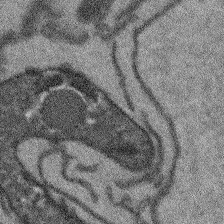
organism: Arabidopsis thaliana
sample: Root tip